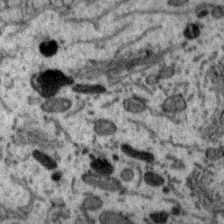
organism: Zebra finch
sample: Brain